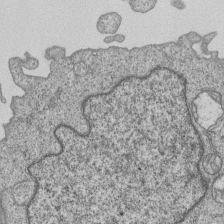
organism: Human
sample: MDA-MB-231 cells